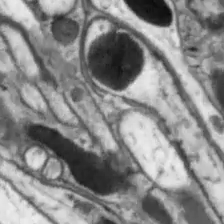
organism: Drosophila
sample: Optic lobe